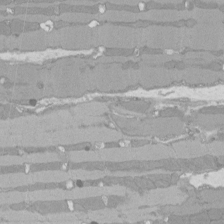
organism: Rat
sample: Left ventricle